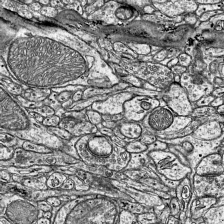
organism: Mouse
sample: Visual Cortex